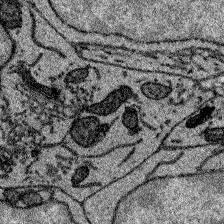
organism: Zebrafish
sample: Larval olfactory bulb